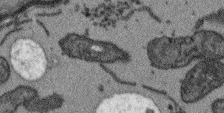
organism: Arabidopsis thaliana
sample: Root tip